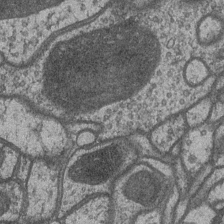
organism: Drosophila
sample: Optic medulla